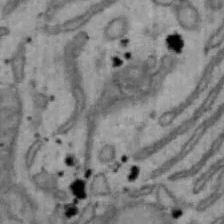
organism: Mouse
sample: Liver